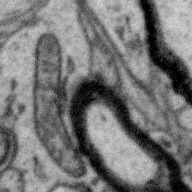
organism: Zebra finch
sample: Brain